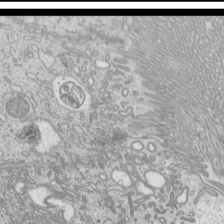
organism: Mouse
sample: Cilia; mouse epididymis